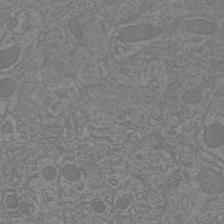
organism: Mouse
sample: Cortical neurons